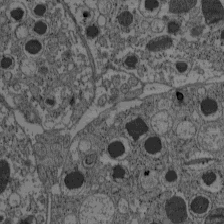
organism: C57BL Mouse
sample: Pancreatic islet